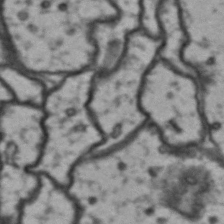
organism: Drosophila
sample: Brain